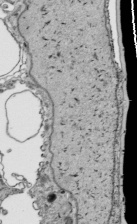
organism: Human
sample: Mitochondria in HCT116 cells